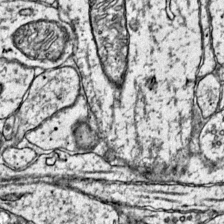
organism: Mouse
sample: Primary visual cortex